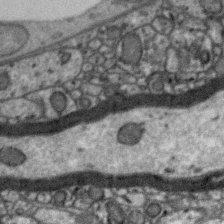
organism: Zebra finch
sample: Brain